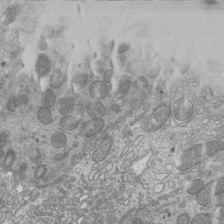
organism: Mouse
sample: Cilia; mouse epididymis